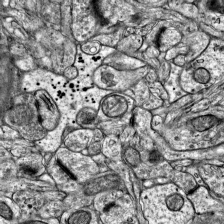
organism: Mouse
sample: Visual Cortex